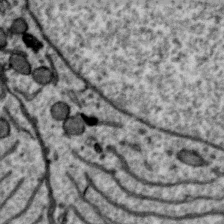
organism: Zebra finch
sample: Brain